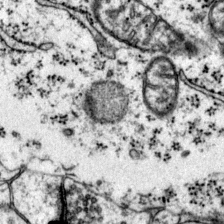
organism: Mouse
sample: Primary visual cortex